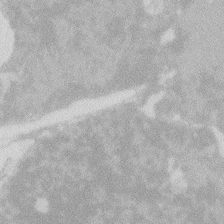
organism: Zebrafish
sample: Macrophage